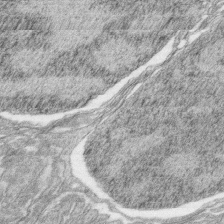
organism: Zebrafish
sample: synaptic ribbons in rod cells and cone cells